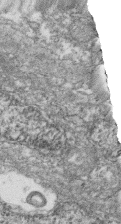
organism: Zebrafish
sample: Cilia; retinal pigment epithelium